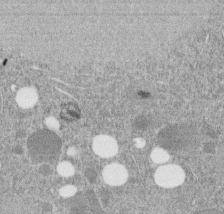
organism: C. elegans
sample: C. elegans embryo early stage